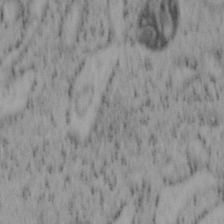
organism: Mouse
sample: OT-I killer T cells with ID8 ovarian cancer cells